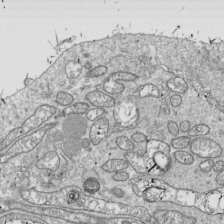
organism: Drosophila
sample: Cell division; meiosis; drosophila spermatocytes